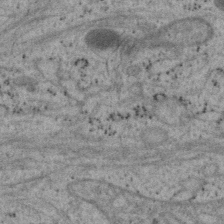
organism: Human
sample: HeLa cells